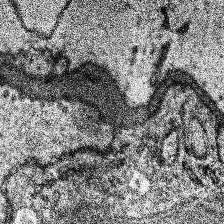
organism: Human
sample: Temporal Lobe